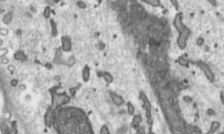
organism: Toxoplasma gondii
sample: Parasites in a vacuole inside a host cell